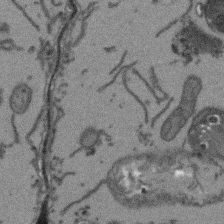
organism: Arabidopsis thaliana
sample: Root tip